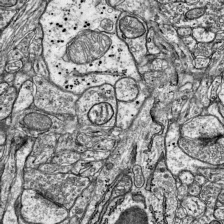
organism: Mouse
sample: Visual Cortex